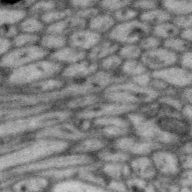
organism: Zebra finch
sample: Brain